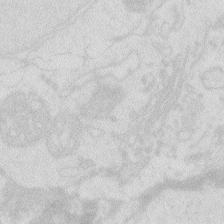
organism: Zebrafish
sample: Macrophage